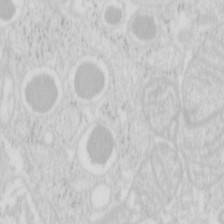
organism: Mouse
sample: Pancreas